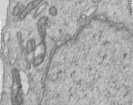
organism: Human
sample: Centriole in RPE cells